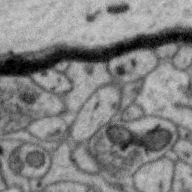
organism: Zebra finch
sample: Brain